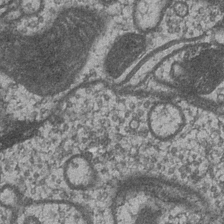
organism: Drosophila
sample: Optic medulla